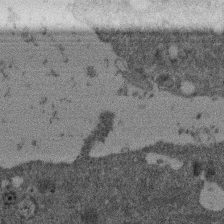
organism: Mouse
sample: Dividing mouse embryo 1 cell stage